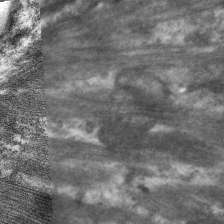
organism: C. elegans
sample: Pharynx